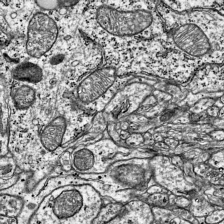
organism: Mouse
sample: Visual Cortex